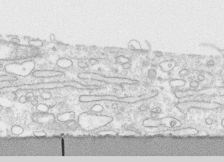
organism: Human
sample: CRL-1474